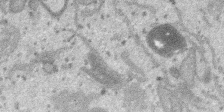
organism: Human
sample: Lung epithelial cells infected with SARS-CoV-2